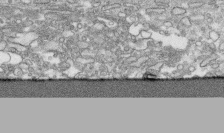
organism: Human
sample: CRL-1474